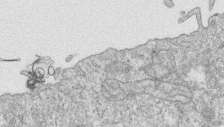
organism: Human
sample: HeLa cell HIV synapse